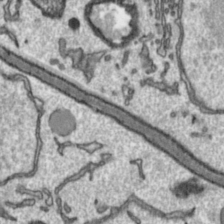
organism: Toxoplasma gondii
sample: Parasites in a vacuole inside a host cell